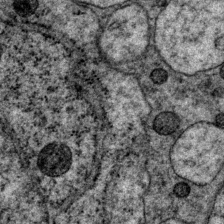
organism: P. pacificus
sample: Pharynx